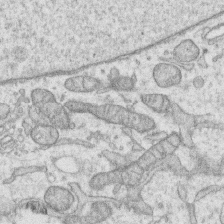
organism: Human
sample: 1205lu cells